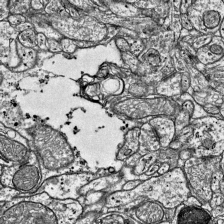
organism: Mouse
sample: Visual Cortex